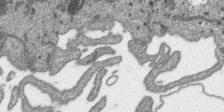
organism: Human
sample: Lung epithelial cells infected with SARS-CoV-2